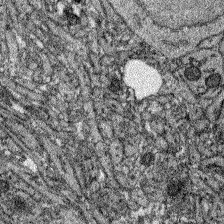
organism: Zebrafish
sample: Larval olfactory bulb